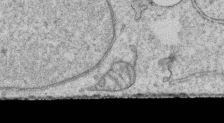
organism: Human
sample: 1205lu cells